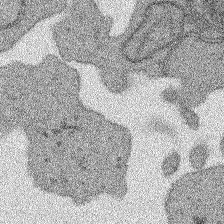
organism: Human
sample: HeLa cells